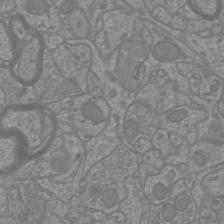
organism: Mouse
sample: Cortical neurons